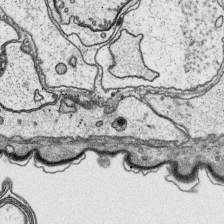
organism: Platynereis dumerilii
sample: Parapodia